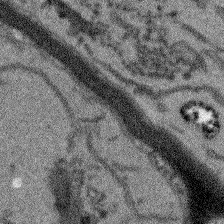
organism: Arabidopsis thaliana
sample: Root tip